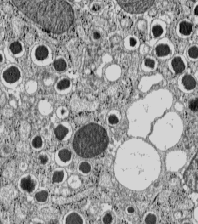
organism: C57BL Mouse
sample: Pancreatic islet